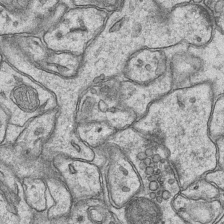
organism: Mouse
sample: CA1 Hippocampus